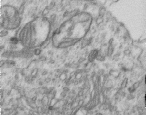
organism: Human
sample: Centriole in RPE cells